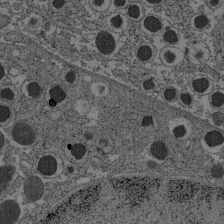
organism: C57BL Mouse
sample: Pancreatic islet